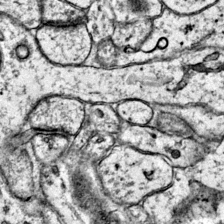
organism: Mouse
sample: Primary visual cortex